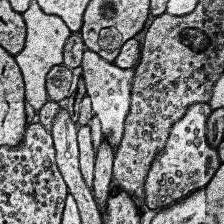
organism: Human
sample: Temporal Lobe